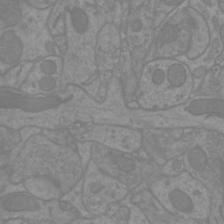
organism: Mouse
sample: Cortical neurons